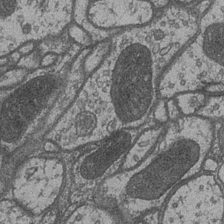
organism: Drosophila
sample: Optic medulla